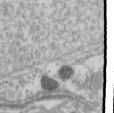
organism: Drosophila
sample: Cell division; meiosis; drosophila spermatocytes